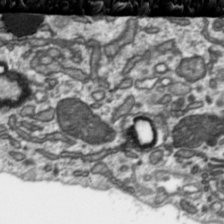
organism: Toxoplasma gondii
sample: Parasites in a vacuole inside a host cell